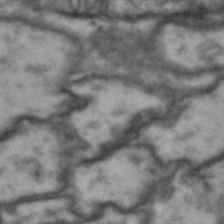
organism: Drosophila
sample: Brain